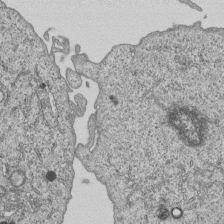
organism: Human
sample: MDA-MB-231 cells